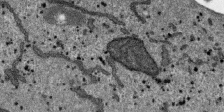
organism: Human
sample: Lung epithelial cells, uninfected (mock) control